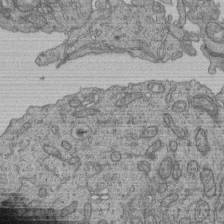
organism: Human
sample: Retinal organoid Rod and Cone cells